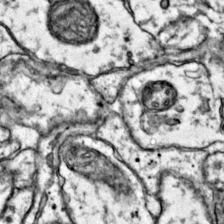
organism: Mouse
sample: Primary visual cortex